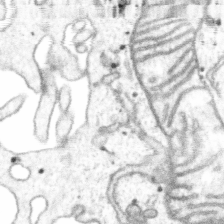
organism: Human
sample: HeLa cells